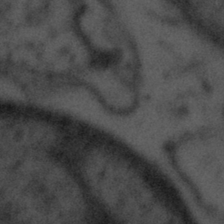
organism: Tuwongella immobilis